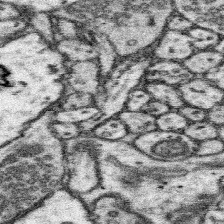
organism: Mouse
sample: Somatosensory cortex neuropil